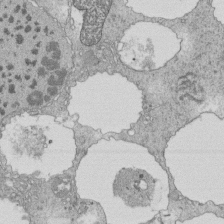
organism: Tetrahymena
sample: Cilia in tetrahymena